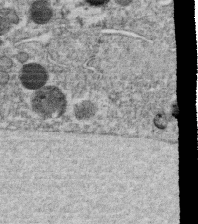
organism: C. elegans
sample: C. elegans oocyte; sperm cells